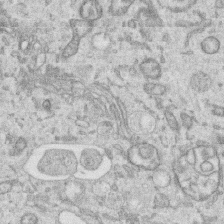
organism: Human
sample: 1205lu cells